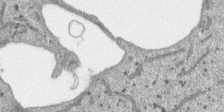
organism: Human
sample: Lung epithelial cells infected with SARS-CoV-2